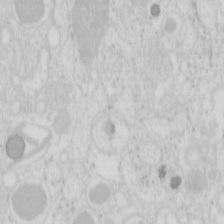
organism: Mouse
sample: Pancreas